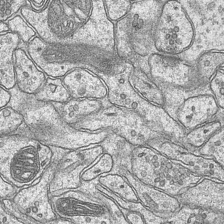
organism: Mouse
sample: CA1 Hippocampus